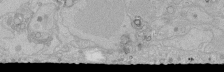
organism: Human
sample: Caco-2 cells